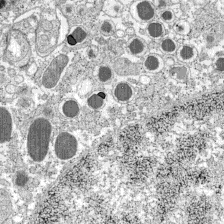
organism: C57BL Mouse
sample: Pancreatic islet